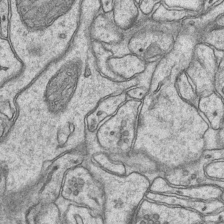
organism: Mouse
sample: CA1 Hippocampus